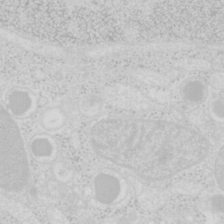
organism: Mouse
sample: Pancreas